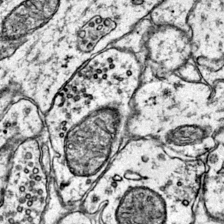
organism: Mouse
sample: Primary visual cortex